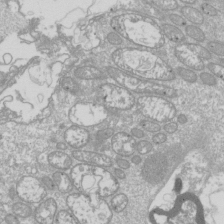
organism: Drosophila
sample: Cell division; meiosis; drosophila spermatocytes